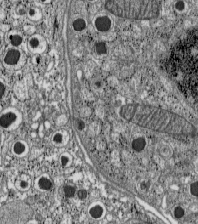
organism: C57BL Mouse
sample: Pancreatic islet